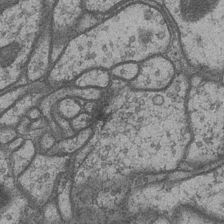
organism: Drosophila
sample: Optic medulla